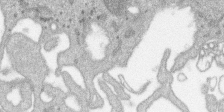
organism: Human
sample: Lung epithelial cells infected with SARS-CoV-2